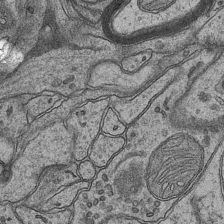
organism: Mouse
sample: CA1 Hippocampus